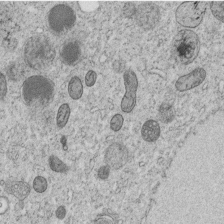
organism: C. elegans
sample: C. elegans embryo early stage